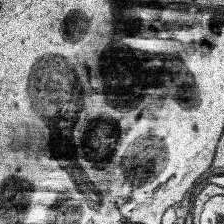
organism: Human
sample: Temporal Lobe